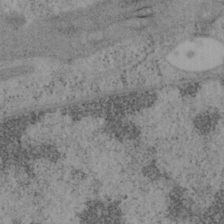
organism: Mouse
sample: OT-I killer T cells with ID8 ovarian cancer cells